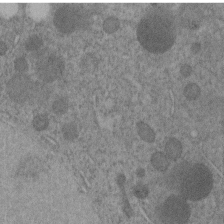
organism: C. elegans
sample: C. elegans embryo early stage